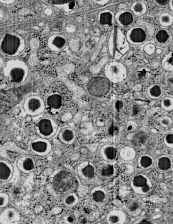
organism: C57BL Mouse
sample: Pancreatic islet